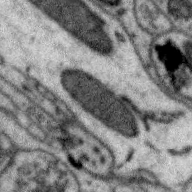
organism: Zebra finch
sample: Brain